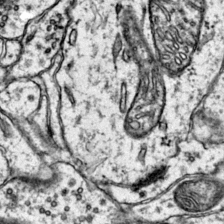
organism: Mouse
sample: Primary visual cortex